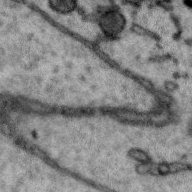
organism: Zebra finch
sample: Brain